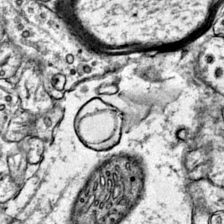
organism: Mouse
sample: Primary visual cortex